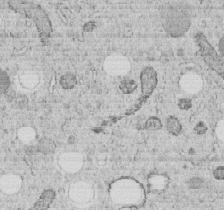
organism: C. elegans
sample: C. elegans embryo early stage